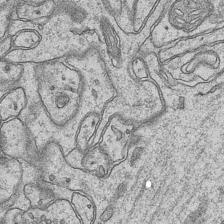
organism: Mouse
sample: CA1 Hippocampus